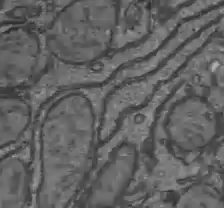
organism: C57BL Mouse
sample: Liver